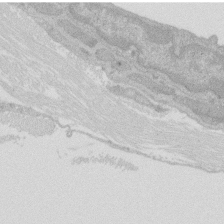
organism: Rat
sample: Salivary granule